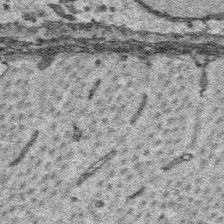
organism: Platynereis dumerilii